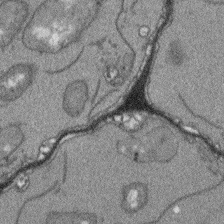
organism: Arabidopsis thaliana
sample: Root tip